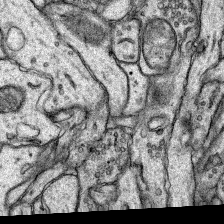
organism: Rat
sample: Hippocampus